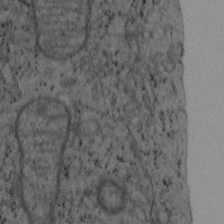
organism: Human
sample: HeLa cells